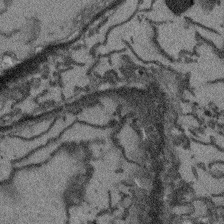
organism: Arabidopsis thaliana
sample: Root tip